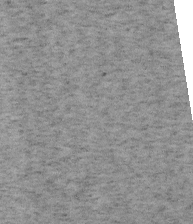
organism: Mouse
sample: OT-I killer T cells with ID8 ovarian cancer cells